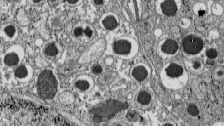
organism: C57BL Mouse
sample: Pancreatic islet